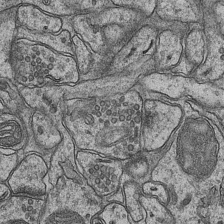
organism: Mouse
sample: CA1 Hippocampus